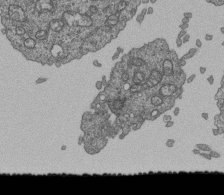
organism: Human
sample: Retinal organoid Rod and Cone cells